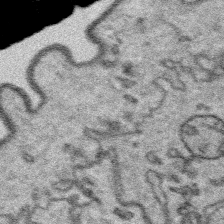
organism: Platynereis dumerilii